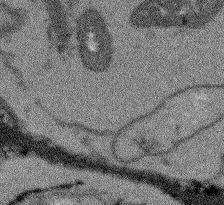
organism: Arabidopsis thaliana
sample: Root tip